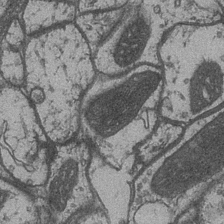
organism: Drosophila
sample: Optic medulla